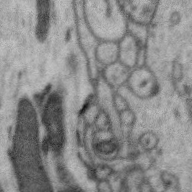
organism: Zebra finch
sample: Brain